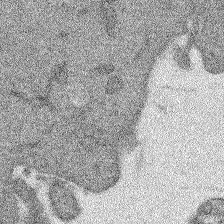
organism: Human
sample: HeLa cells